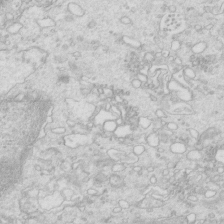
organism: Mouse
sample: Multiciliated cells